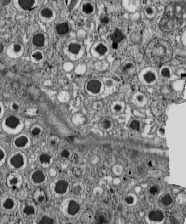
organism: C57BL Mouse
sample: Pancreatic islet